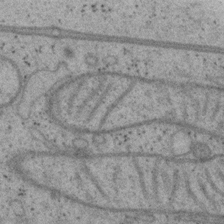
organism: Human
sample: HeLa cells